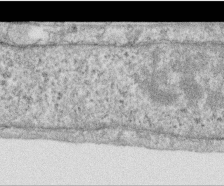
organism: Human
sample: Centriole in RPE cells